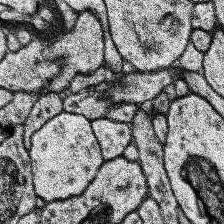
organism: Human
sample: Temporal Lobe